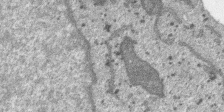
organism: Human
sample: Lung epithelial cells infected with SARS-CoV-2